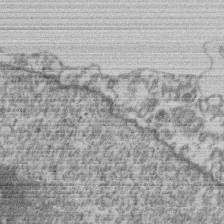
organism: Mouse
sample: T cell stromal cell synapse